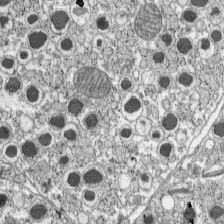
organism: C57BL Mouse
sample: Pancreatic islet